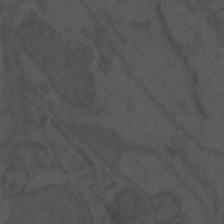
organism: Mouse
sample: Suprachiasmatic nucleus